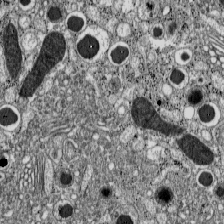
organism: C57BL Mouse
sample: Pancreatic islet